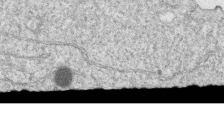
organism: Human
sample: HeLa cell HIV synapse